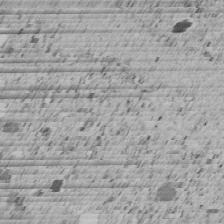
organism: C. elegans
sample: C. elegans embryo early stage